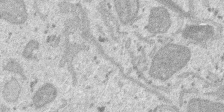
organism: Human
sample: Lung epithelial cells infected with SARS-CoV-2